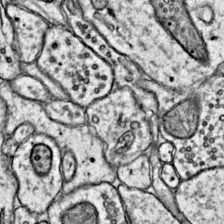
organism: Mouse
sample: Primary visual cortex